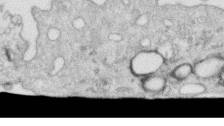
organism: Human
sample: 1205lu cells